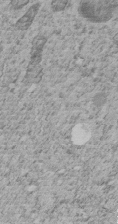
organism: C. elegans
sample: C. elegans embryo early stage